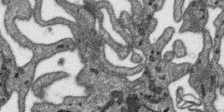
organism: Human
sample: Lung epithelial cells infected with SARS-CoV-2